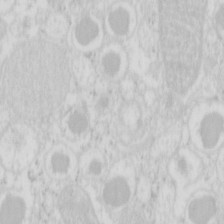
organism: Mouse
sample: Pancreas